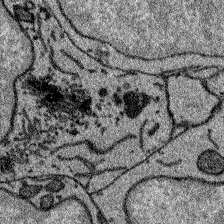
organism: Zebrafish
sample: Larval olfactory bulb